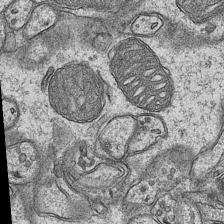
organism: Mouse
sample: CA1 Hippocampus